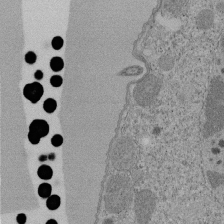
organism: Tetrahymena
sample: Cilia in tetrahymena